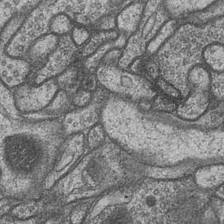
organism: Drosophila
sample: Optic medulla